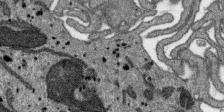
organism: Human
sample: Lung epithelial cells, uninfected (mock) control